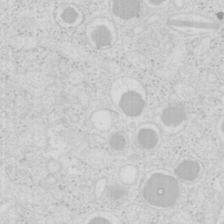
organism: Mouse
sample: Pancreas